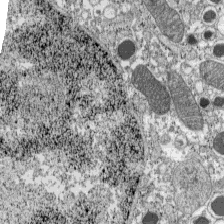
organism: C57BL Mouse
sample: Pancreatic islet